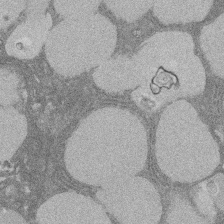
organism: Rat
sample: Salivary granule